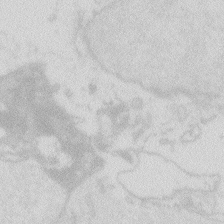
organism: Zebrafish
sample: Macrophage